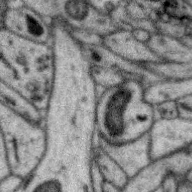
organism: Zebra finch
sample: Brain